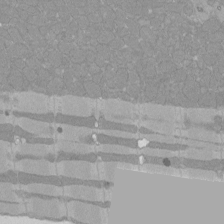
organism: Rat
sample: Left ventricle